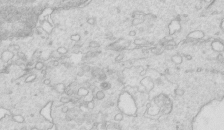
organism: Mouse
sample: Multiciliated cells